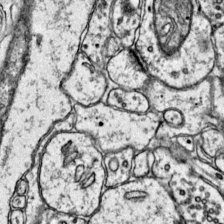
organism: Mouse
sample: Primary visual cortex